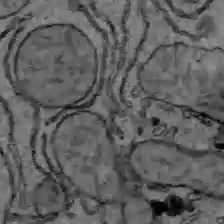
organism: C57BL Mouse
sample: Liver